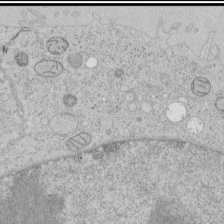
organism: Human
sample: Mitochondria in HCT116 cells